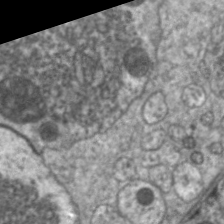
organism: C. elegans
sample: Pharynx